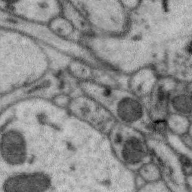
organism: Zebra finch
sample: Brain